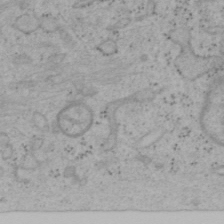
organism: Human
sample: HeLa cells